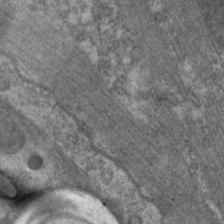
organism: C. elegans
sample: Pharynx